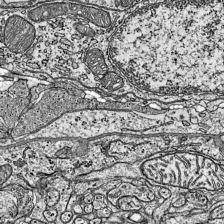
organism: Mouse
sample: Visual Cortex